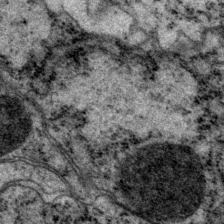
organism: P. pacificus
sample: Pharynx